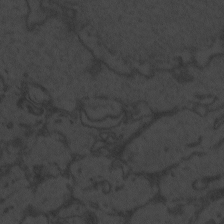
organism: Zebrafish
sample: Macrophage infected with Toxoplasma gondii